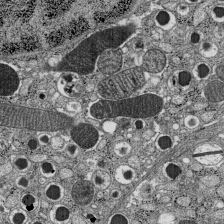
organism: C57BL Mouse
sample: Pancreatic islet